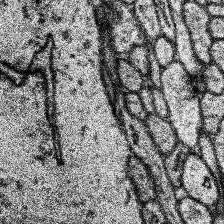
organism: Human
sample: Temporal Lobe